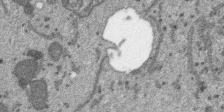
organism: Human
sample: Lung epithelial cells infected with SARS-CoV-2